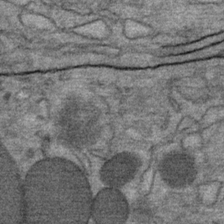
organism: Mouse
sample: Mouse Salivary gland